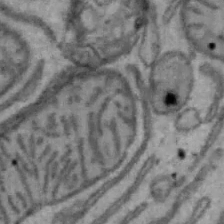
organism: Mouse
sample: Liver